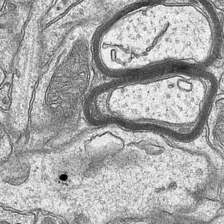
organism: Mouse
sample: CA1 Hippocampus